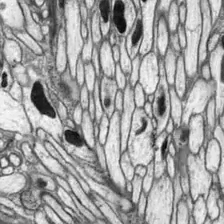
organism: Drosophila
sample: Optic lobe